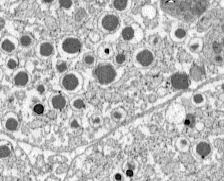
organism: C57BL Mouse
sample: Pancreatic islet